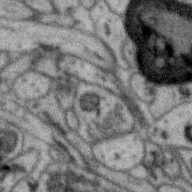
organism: Zebra finch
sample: Brain